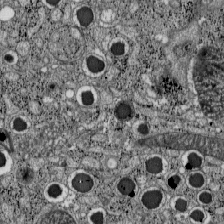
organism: C57BL Mouse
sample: Pancreatic islet